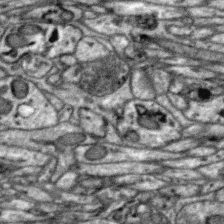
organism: Zebra finch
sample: Brain